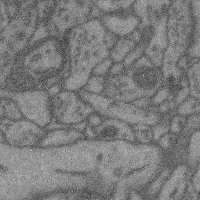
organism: Mouse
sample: Cerebral cortex